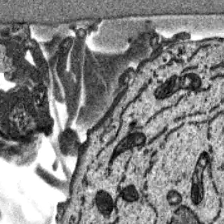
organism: Human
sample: HeLa cells